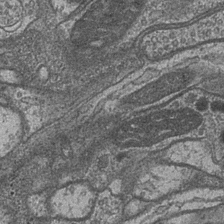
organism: Drosophila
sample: Optic medulla